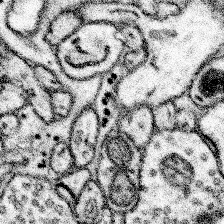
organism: Mouse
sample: Somatosensory cortex neuropil